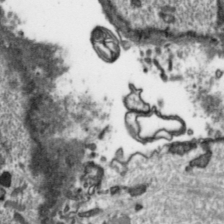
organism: Toxoplasma gondii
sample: Parasites in a vacuole inside a host cell